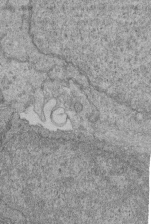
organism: Human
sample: Retinal organoid Rod and Cone cells